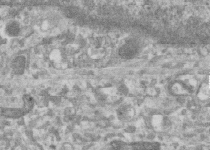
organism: Human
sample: Centriole in RPE cells